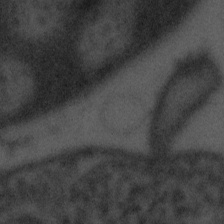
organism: Tuwongella immobilis